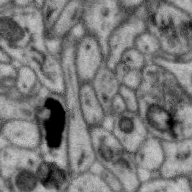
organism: Zebra finch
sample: Brain